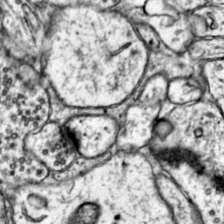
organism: Mouse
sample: Primary visual cortex